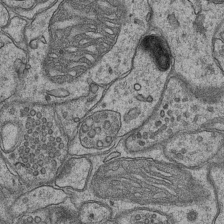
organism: Mouse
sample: CA1 Hippocampus